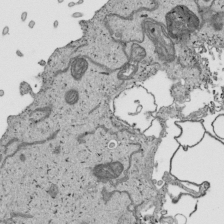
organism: Human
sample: Mitochondria in HCT116 cells